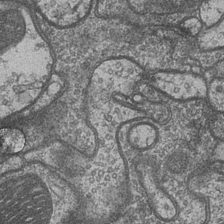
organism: Drosophila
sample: Optic medulla